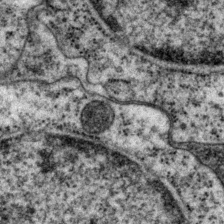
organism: P. pacificus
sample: Pharynx